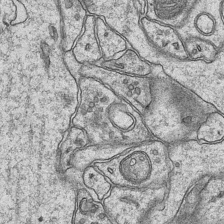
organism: Mouse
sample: CA1 Hippocampus